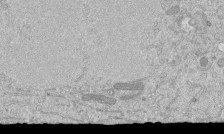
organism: Mouse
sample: ED-1 cell nuclei; centrioles